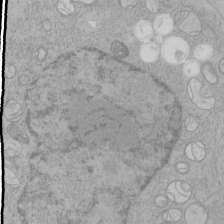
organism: Human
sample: Mitochondria in HCT116 cells